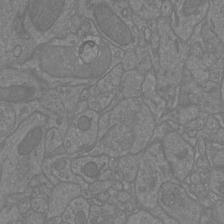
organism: Mouse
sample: Cortical neurons